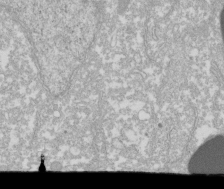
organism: Xenopus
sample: Cilia; centrioles in frog embryo cells